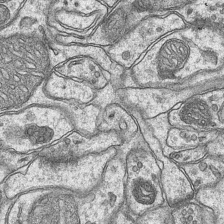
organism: Mouse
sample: CA1 Hippocampus